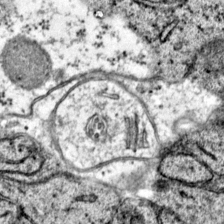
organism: Mouse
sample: Primary visual cortex